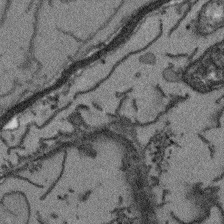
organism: Arabidopsis thaliana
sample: Root tip